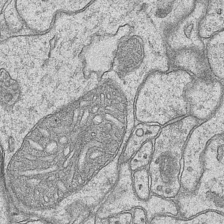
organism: Mouse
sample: CA1 Hippocampus